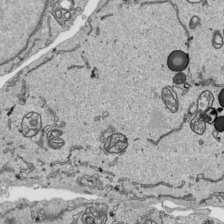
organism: Human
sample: Mitochondria in HCT116 cells